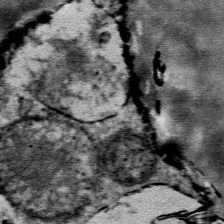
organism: Mouse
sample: Mouse Salivary gland